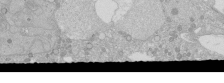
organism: Human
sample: Caco-2 cells